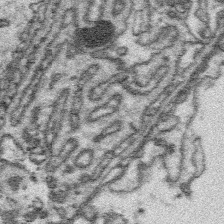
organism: Platynereis dumerilii